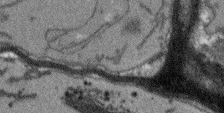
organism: Arabidopsis thaliana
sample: Root tip